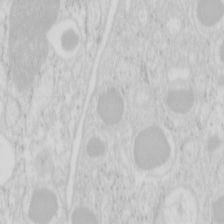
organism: Mouse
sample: Pancreas